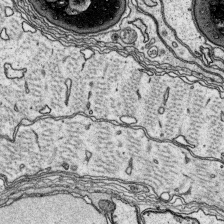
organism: Platynereis dumerilii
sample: Parapodia